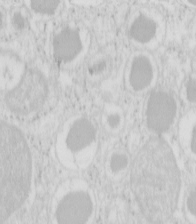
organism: Mouse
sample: Pancreas